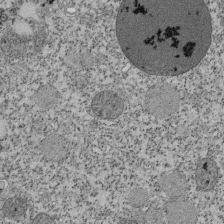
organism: Tetrahymena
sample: Cilia in tetrahymena